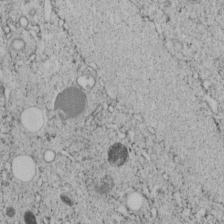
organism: C. elegans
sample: C. elegans embryo early stage